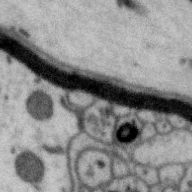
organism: Zebra finch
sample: Brain